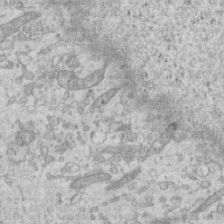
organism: Mouse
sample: Centriole in ependymal cells